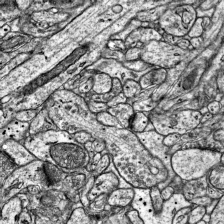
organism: Mouse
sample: Visual Cortex